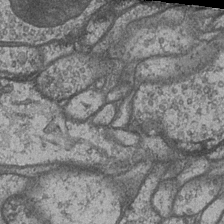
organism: Drosophila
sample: Optic medulla